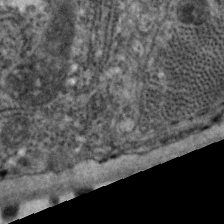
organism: C. elegans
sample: Pharynx